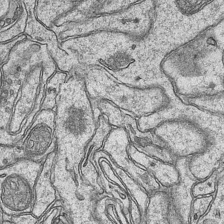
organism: Mouse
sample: CA1 Hippocampus